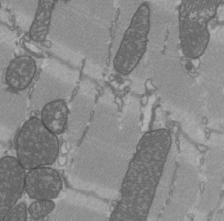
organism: C57BL Mouse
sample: Heart